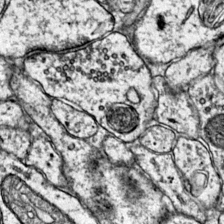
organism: Mouse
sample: Primary visual cortex